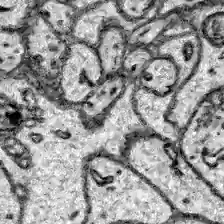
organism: Zebrafish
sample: Brain